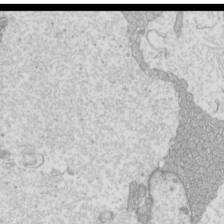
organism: Mouse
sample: Cilia; mouse epididymis